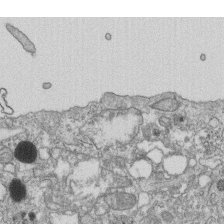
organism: Human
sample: HeLa cell HIV synapse